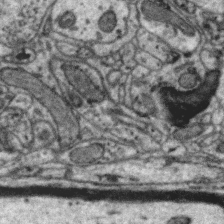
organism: Zebra finch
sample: Brain